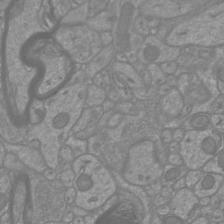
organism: Mouse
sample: Cortical neurons